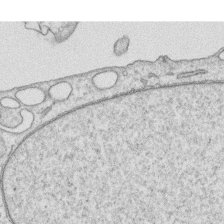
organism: Human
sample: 1205lu cells